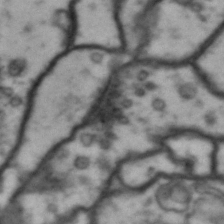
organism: Drosophila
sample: Brain